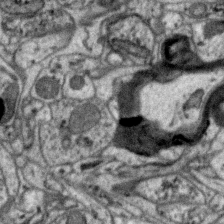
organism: Zebra finch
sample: Brain